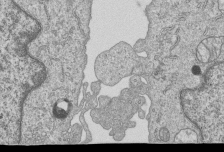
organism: Human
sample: MDA-MB-231 cells